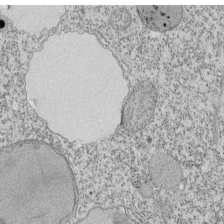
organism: Tetrahymena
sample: Cilia in tetrahymena